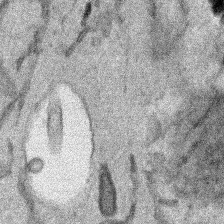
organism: Human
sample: Mitochondria in HCT116 cells